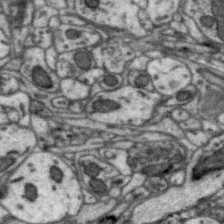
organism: Zebra finch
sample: Brain